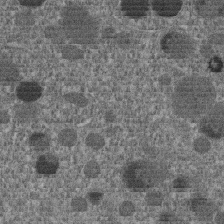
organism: C. elegans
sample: C. elegans embryo early stage